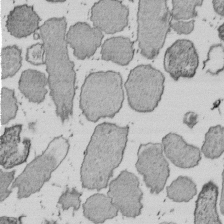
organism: E. coli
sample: Bacterial nucleoid